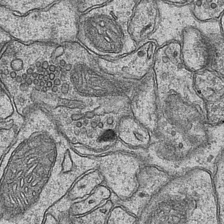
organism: Mouse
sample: CA1 Hippocampus